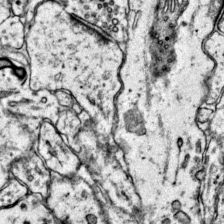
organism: Mouse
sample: Primary visual cortex